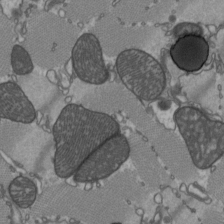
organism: C57BL Mouse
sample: Heart